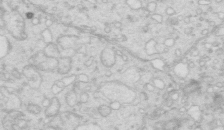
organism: Mouse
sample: Multiciliated cells